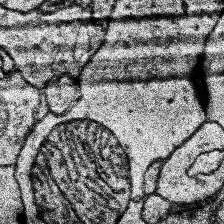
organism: Human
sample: Temporal Lobe